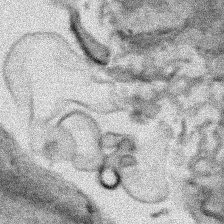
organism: Human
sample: Mitochondria in HCT116 cells